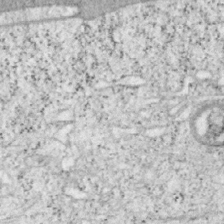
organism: Mouse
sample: OT-I killer T cells with ID8 ovarian cancer cells